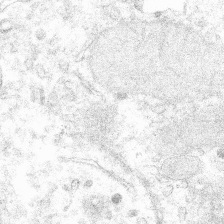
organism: Mouse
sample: Mouse hepatocytes